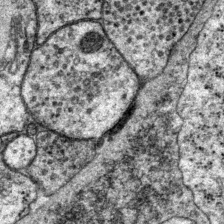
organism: P. pacificus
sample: Pharynx